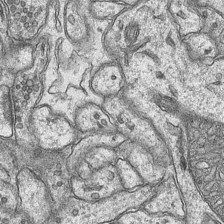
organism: Mouse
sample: CA1 Hippocampus